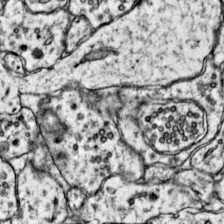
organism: Mouse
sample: Primary visual cortex